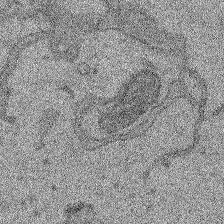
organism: Human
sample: HeLa cells